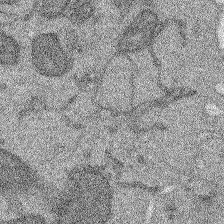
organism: Human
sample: HeLa cells